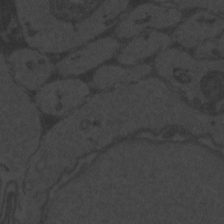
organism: Zebrafish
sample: Macrophage infected with Toxoplasma gondii